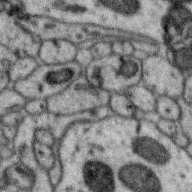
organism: Zebra finch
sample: Brain